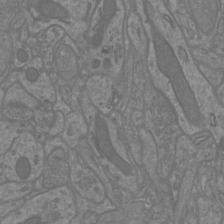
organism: Mouse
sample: Cortical neurons